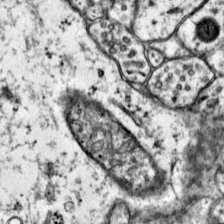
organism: Mouse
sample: Primary visual cortex